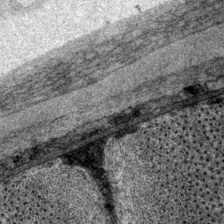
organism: P. pacificus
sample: Pharynx